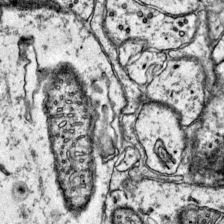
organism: Mouse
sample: Primary visual cortex